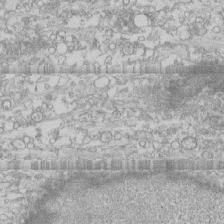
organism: Human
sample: CRL-1474